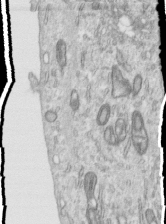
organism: Human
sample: Centriole in RPE cells